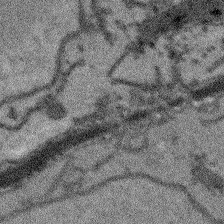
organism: Arabidopsis thaliana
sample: Root tip